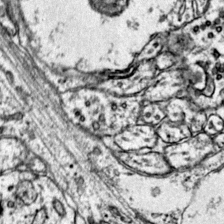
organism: Mouse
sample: Primary visual cortex